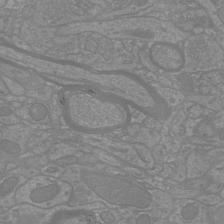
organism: Mouse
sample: Cortical neurons